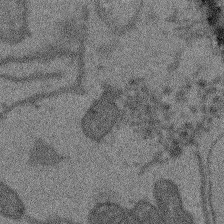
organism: Arabidopsis thaliana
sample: Root tip